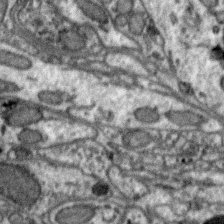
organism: Zebra finch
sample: Brain